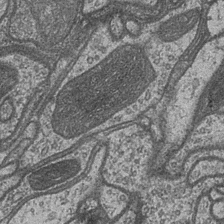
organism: Drosophila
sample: Optic medulla